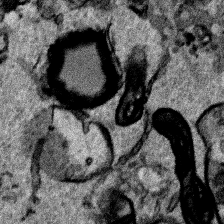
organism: Human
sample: Mitochondria in HCT116 cells